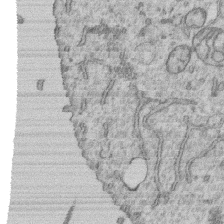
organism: Human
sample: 1205lu cells